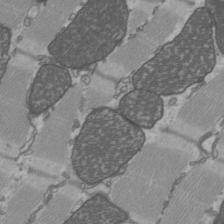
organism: C57BL Mouse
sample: Heart